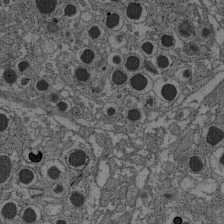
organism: C57BL Mouse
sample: Pancreatic islet